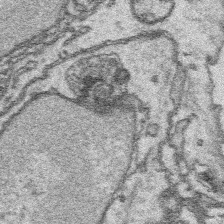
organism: Platynereis dumerilii